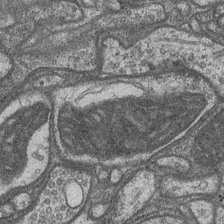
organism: Drosophila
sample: Optic medulla